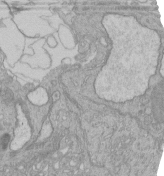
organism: Human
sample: Retinal organoid Rod and Cone cells